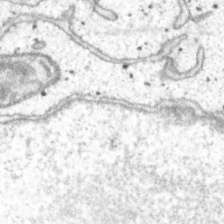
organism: Human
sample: HeLa cells